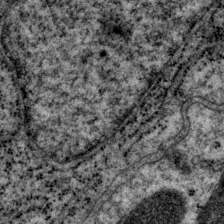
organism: P. pacificus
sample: Pharynx